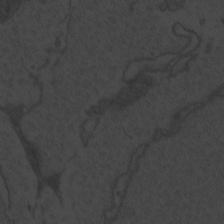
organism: Zebrafish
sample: Macrophage infected with Toxoplasma gondii